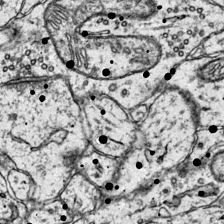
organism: Mouse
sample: Primary visual cortex